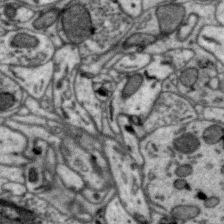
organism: Zebra finch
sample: Brain